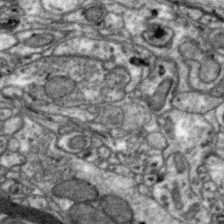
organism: Zebra finch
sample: Brain